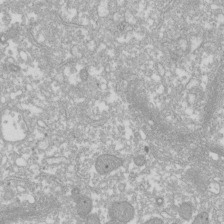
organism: Xenopus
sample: Cilia; centrioles in frog embryo cells